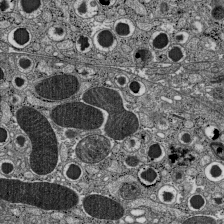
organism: C57BL Mouse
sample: Pancreatic islet